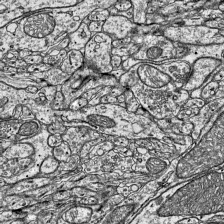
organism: Mouse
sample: Visual Cortex